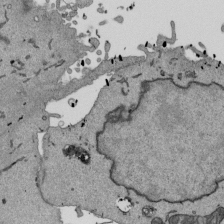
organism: Mouse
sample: ED-1 cell nuclei; centrioles